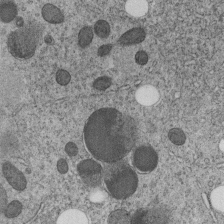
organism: C. elegans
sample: C. elegans embryo early stage